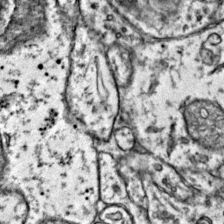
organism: Mouse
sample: Primary visual cortex